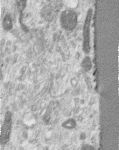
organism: Human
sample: Centriole in RPE cells